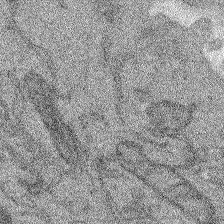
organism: Human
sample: HeLa cells